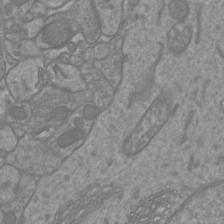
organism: Mouse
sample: Cortical neurons